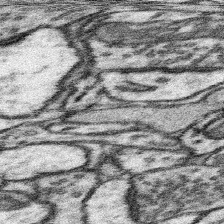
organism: Mouse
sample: Somatosensory cortex neuropil